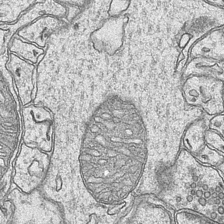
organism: Mouse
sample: CA1 Hippocampus